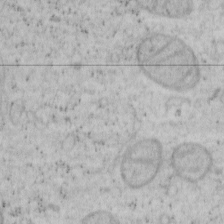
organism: Human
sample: HeLa cells